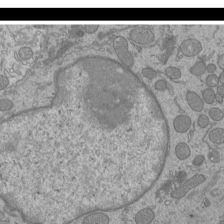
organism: Mouse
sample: Cilia; mouse epididymis